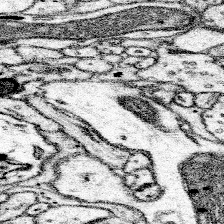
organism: Mouse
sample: Somatosensory cortex neuropil